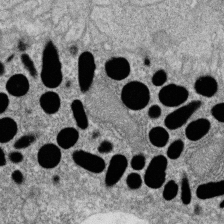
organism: Zebrafish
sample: Cilia; retinal pigment epithelium